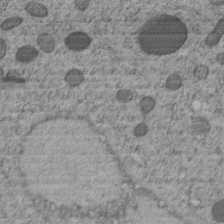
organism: C. elegans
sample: C. elegans embryo early stage